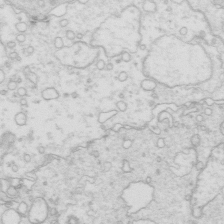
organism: Mouse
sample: Multiciliated cells